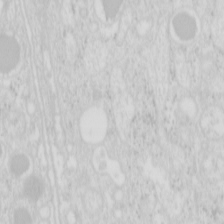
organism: Mouse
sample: Pancreas